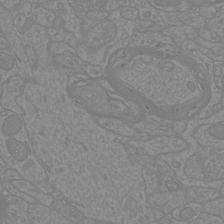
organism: Mouse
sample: Cortical neurons